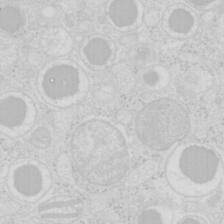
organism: Mouse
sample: Pancreas